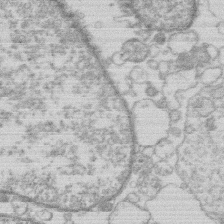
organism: Human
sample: Macrophage cells